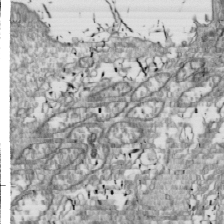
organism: Drosophila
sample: Cell division; meiosis; drosophila spermatocytes